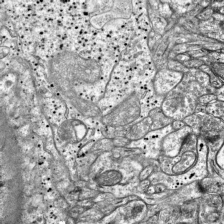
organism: Mouse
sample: Visual Cortex